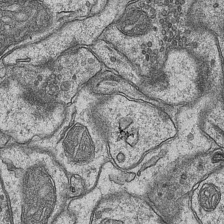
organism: Mouse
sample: CA1 Hippocampus